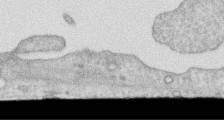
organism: Human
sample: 1205lu cells